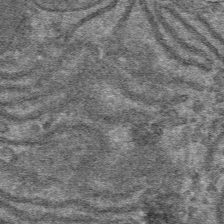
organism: Mouse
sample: Mouse hepatocytes